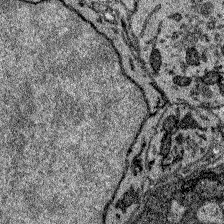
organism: Zebrafish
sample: Larval olfactory bulb